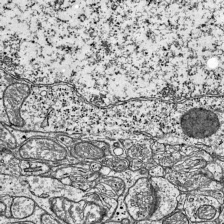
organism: Mouse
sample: Visual Cortex